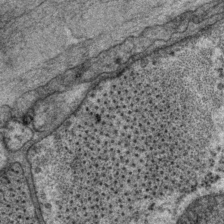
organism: P. pacificus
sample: Pharynx